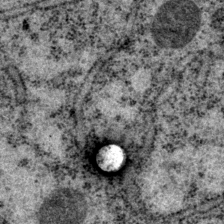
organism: P. pacificus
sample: Pharynx